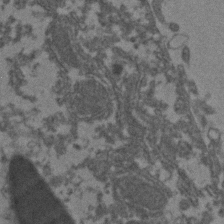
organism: Zebrafish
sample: Zebrafish embryo